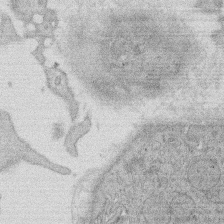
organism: Rat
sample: Salivary granule